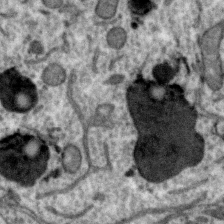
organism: Zebra finch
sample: Brain